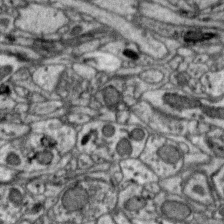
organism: Zebra finch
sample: Brain